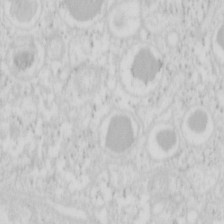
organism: Mouse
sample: Pancreas